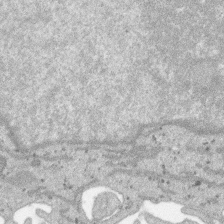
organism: Human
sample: Lung epithelial cells infected with SARS-CoV-2